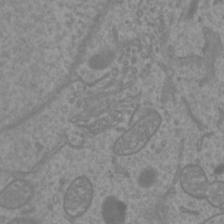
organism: Mouse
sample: Cortical neurons